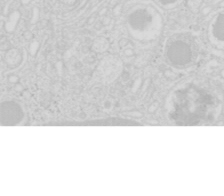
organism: Mouse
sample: Pancreas